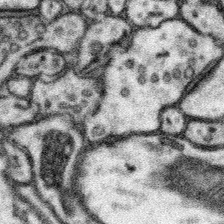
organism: Mouse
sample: Somatosensory cortex neuropil